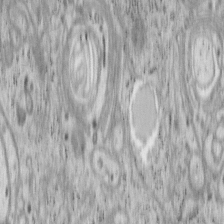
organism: Human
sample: HeLa cells